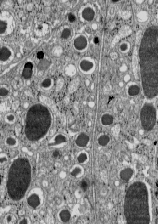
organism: C57BL Mouse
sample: Pancreatic islet